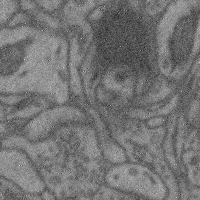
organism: Mouse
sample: Cerebral cortex